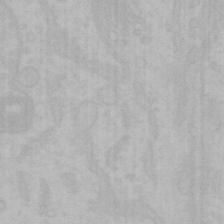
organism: Mouse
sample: Choroid plexus